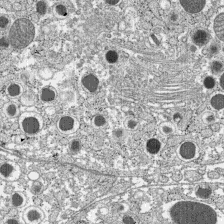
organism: C57BL Mouse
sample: Pancreatic islet